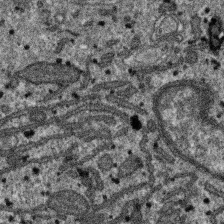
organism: Human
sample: Lung epithelial cells infected with SARS-CoV-2